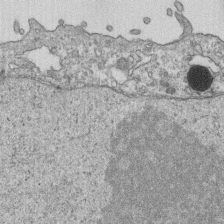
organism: Human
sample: HeLa cell HIV synapse